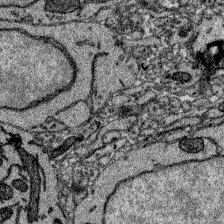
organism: Zebrafish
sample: Larval olfactory bulb